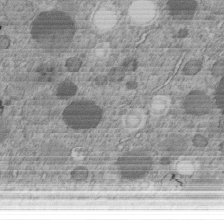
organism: C. elegans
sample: C. elegans embryo early stage